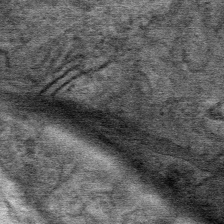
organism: Mouse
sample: Mouse Salivary gland